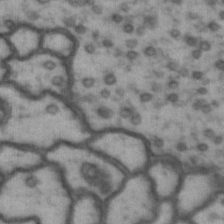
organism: Drosophila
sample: Brain